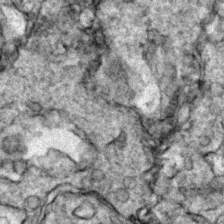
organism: Zebrafish